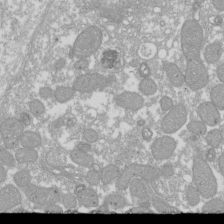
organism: Xenopus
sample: Cilia; centrioles in frog embryo cells